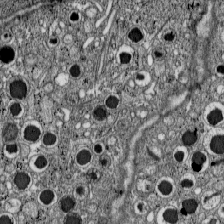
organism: C57BL Mouse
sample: Pancreatic islet